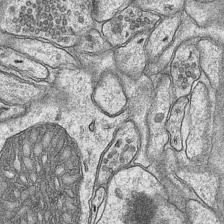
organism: Mouse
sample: CA1 Hippocampus